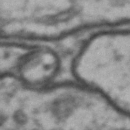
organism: Drosophila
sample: Brain